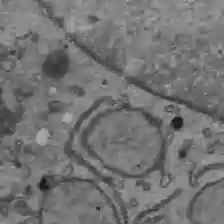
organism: C57BL Mouse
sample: Liver